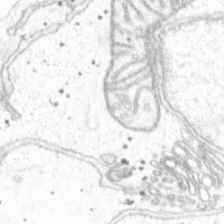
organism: Human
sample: HeLa cells